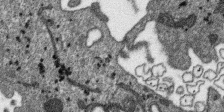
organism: Human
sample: Lung epithelial cells infected with SARS-CoV-2